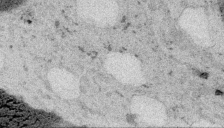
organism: Embia sp.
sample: Silk gland